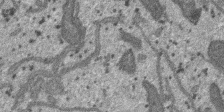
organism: Human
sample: Lung epithelial cells infected with SARS-CoV-2